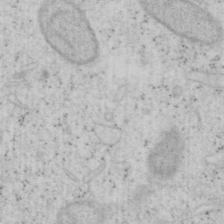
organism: Human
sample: HeLa cells